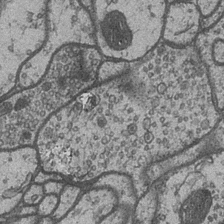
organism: Drosophila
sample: Optic medulla